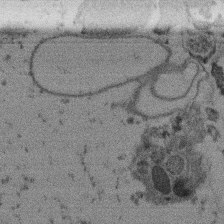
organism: Mouse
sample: Dividing mouse embryo 1 cell stage